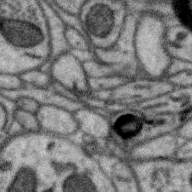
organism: Zebra finch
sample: Brain